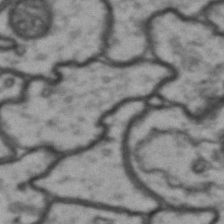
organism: Drosophila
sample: Brain